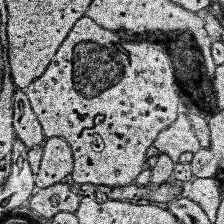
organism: Human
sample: Temporal Lobe